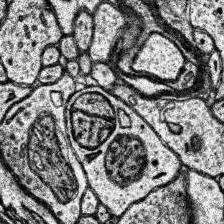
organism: Human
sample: Temporal Lobe